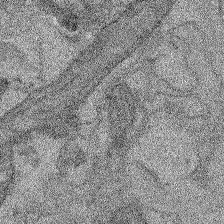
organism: Human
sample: HeLa cells